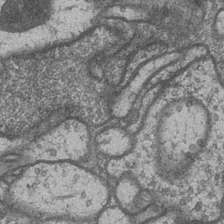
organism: Drosophila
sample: Optic medulla